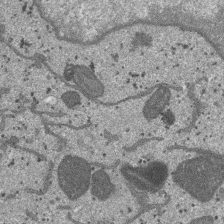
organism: Human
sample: Lung epithelial cells infected with SARS-CoV-2